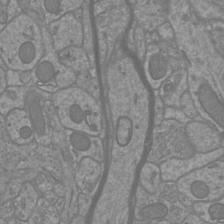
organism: Mouse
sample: Cortical neurons